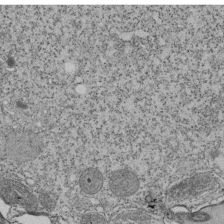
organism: Tetrahymena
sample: Cilia in tetrahymena